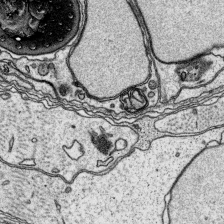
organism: Platynereis dumerilii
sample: Parapodia